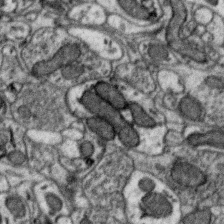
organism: Zebra finch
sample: Brain